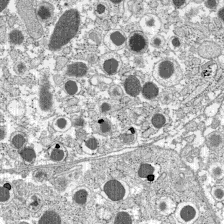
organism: C57BL Mouse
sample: Pancreatic islet